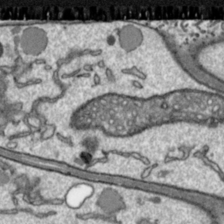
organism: Toxoplasma gondii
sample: Parasites in a vacuole inside a host cell